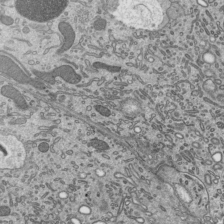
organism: Mouse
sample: Mouse epididymis efferent ductule cilia